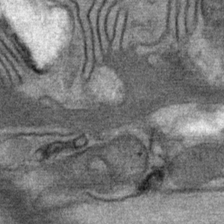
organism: Mouse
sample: Mouse Salivary gland